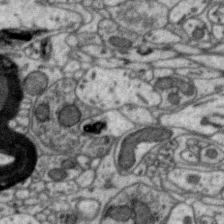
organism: Zebra finch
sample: Brain